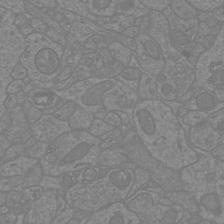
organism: Mouse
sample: Cortical neurons